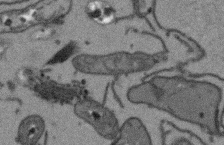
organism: Arabidopsis thaliana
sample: Root tip